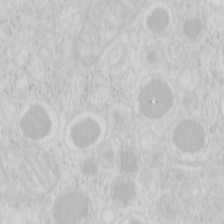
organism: Mouse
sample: Pancreas